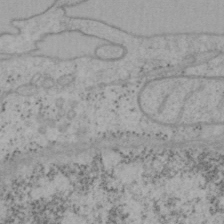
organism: Human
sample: HeLa cells